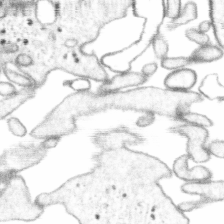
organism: Human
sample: HeLa cells